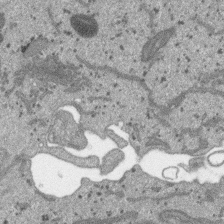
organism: Human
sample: Lung epithelial cells infected with SARS-CoV-2